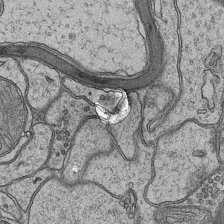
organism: Mouse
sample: CA1 Hippocampus